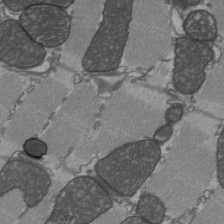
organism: C57BL Mouse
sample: Heart